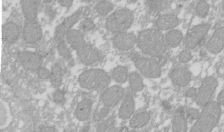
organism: Xenopus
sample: Cilia; centrioles in frog embryo cells